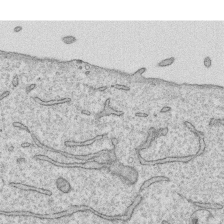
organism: Human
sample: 1205lu cells